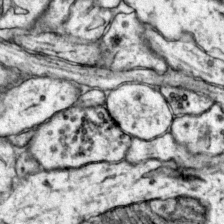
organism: Mouse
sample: Primary visual cortex